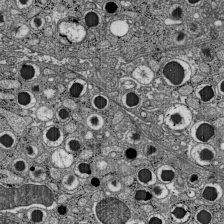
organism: C57BL Mouse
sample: Pancreatic islet